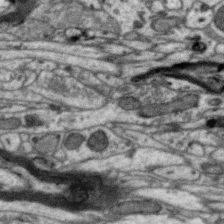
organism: Zebra finch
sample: Brain